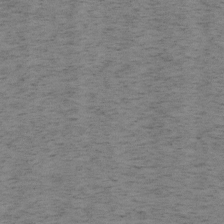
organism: Mouse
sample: OT-I killer T cells with ID8 ovarian cancer cells